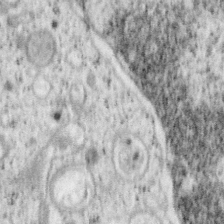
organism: Mouse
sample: OT-I killer T cells with ID8 ovarian cancer cells